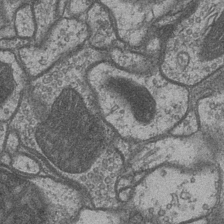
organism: Drosophila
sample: Optic medulla